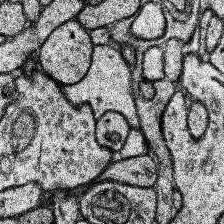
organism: Human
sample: Temporal Lobe